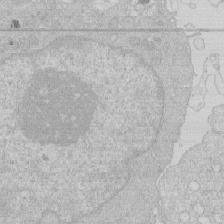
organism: Human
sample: Macrophage cells